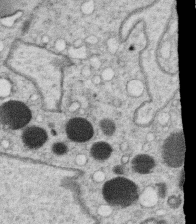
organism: C. elegans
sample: C. elegans oocyte; sperm cells